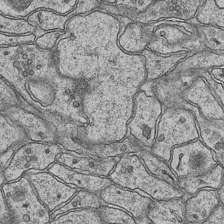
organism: Mouse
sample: CA1 Hippocampus